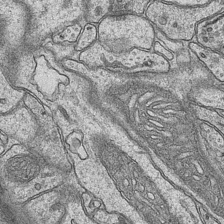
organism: Mouse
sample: CA1 Hippocampus